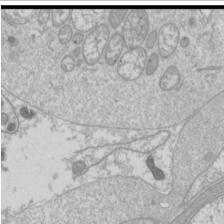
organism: Drosophila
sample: Cell division; meiosis; drosophila spermatocytes